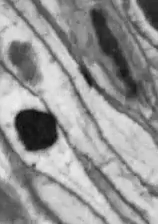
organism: Drosophila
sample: Optic lobe